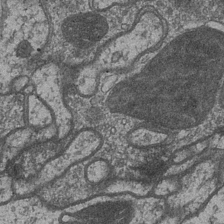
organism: Drosophila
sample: Optic medulla